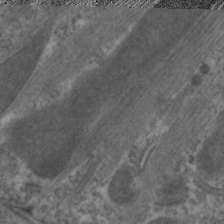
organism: C. elegans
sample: Pharynx